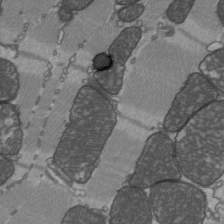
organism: C57BL Mouse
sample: Heart